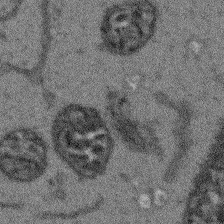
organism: Arabidopsis thaliana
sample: Root tip